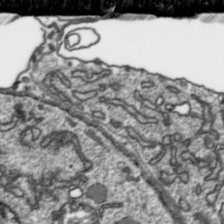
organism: Toxoplasma gondii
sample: Parasites in a vacuole inside a host cell